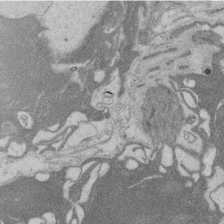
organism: Rat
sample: Salivary granule